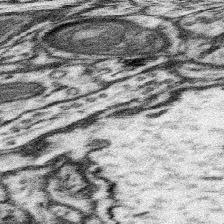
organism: Mouse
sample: Somatosensory cortex neuropil